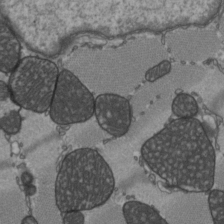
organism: C57BL Mouse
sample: Heart